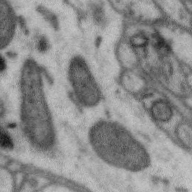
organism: Zebra finch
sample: Brain